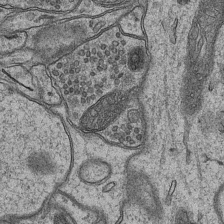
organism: Mouse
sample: CA1 Hippocampus